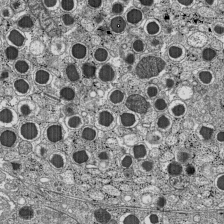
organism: C57BL Mouse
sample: Pancreatic islet